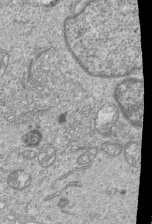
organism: Human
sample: MDA-MB-231 cells